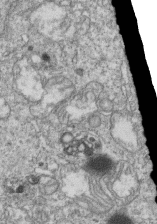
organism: Human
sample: HeLa cell HIV synapse